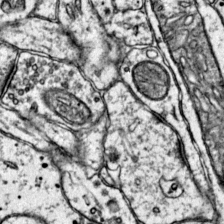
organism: Mouse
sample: Primary visual cortex